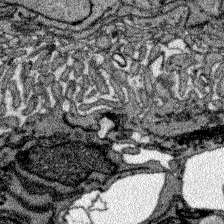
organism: Zebrafish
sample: Larval olfactory bulb